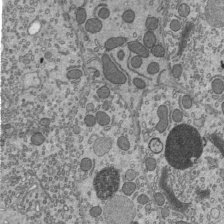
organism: Mouse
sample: Mouse epididymis efferent ductule cilia